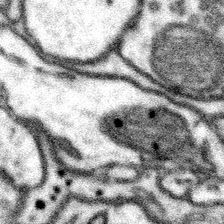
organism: Mouse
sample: Somatosensory cortex neuropil